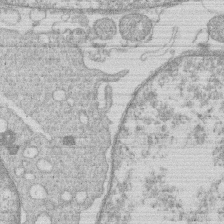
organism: Human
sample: Macrophage cells